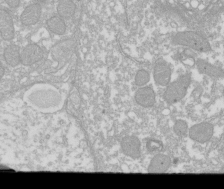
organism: Xenopus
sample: Cilia; centrioles in frog embryo cells